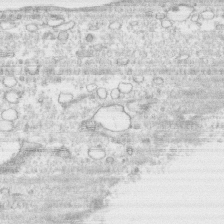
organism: Human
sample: CRL-1474